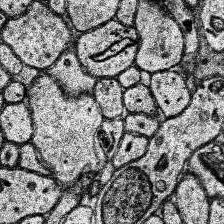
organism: Human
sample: Temporal Lobe